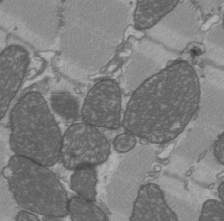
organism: C57BL Mouse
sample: Heart